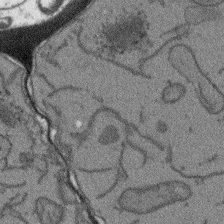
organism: Arabidopsis thaliana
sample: Root tip